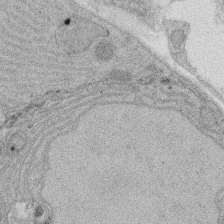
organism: Rat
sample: Salivary granule